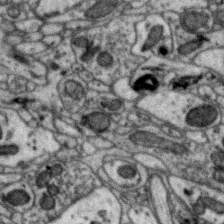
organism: Zebra finch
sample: Brain